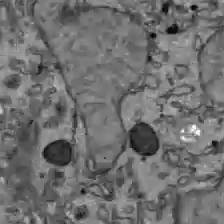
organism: C57BL Mouse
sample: Liver